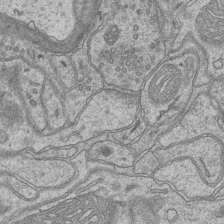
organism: Mouse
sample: CA1 Hippocampus